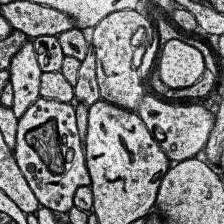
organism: Human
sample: Temporal Lobe